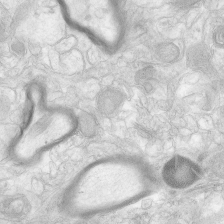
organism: Human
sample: Neocortex